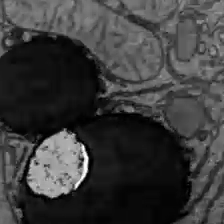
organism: C57BL Mouse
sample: Liver